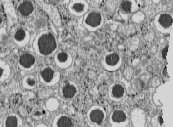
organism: C57BL Mouse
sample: Pancreatic islet